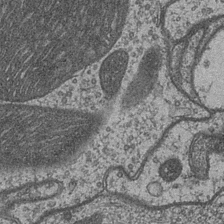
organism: Drosophila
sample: Optic medulla